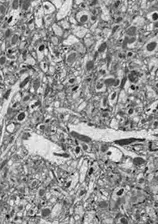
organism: Drosophila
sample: Optic lobe